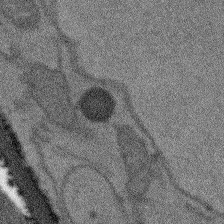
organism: Arabidopsis thaliana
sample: Root tip